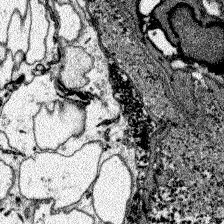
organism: Zebrafish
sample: Larval olfactory bulb